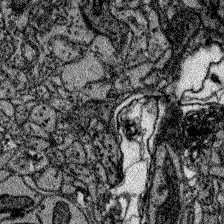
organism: Zebrafish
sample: Larval olfactory bulb